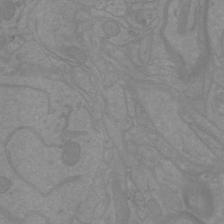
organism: Mouse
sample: Cortical neurons